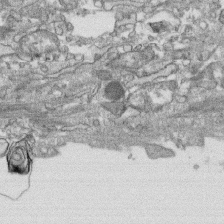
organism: Human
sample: CRL-1474